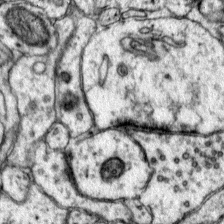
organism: Mouse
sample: Primary visual cortex